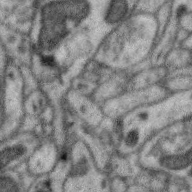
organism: Zebra finch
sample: Brain